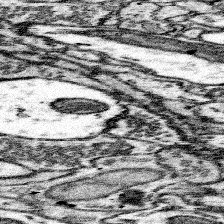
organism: Mouse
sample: Somatosensory cortex neuropil